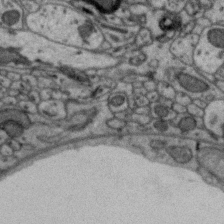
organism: Zebra finch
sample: Brain